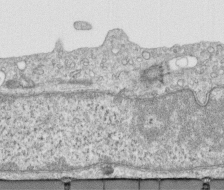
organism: Human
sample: Centriole in RPE cells